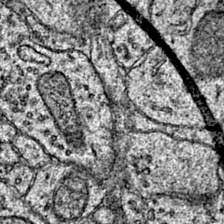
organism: Mouse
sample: Primary visual cortex